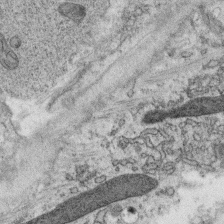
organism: C. elegans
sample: C. elegans oocyte; sperm cells